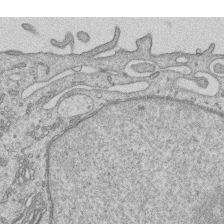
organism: Human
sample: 1205lu cells